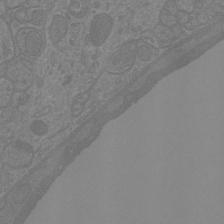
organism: Mouse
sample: Cortical neurons